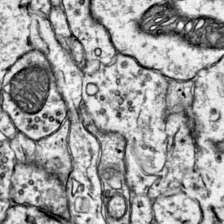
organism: Mouse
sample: Primary visual cortex